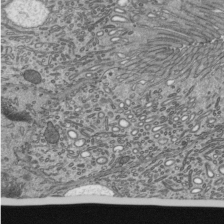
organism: Mouse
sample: Mouse epididymis efferent ductule cilia